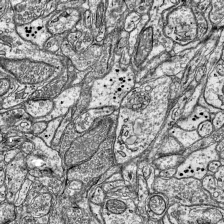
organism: Mouse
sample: Visual Cortex